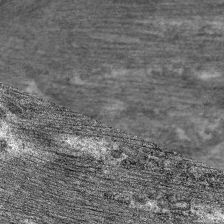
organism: C. elegans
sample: Pharynx